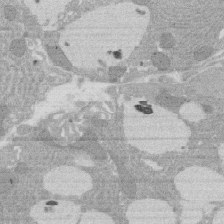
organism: Rat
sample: Salivary granule